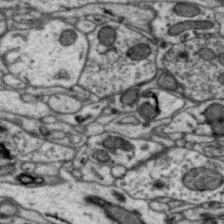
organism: Zebra finch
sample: Brain